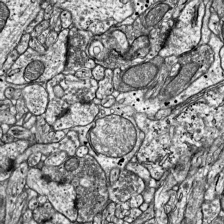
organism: Mouse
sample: Visual Cortex